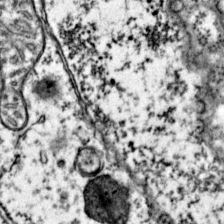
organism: Mouse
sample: Primary visual cortex